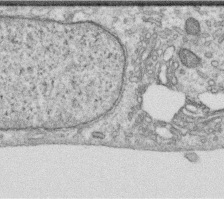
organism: Human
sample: Centriole in RPE cells